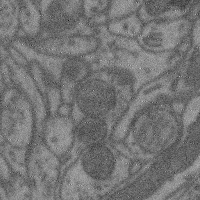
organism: Mouse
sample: Cerebral cortex